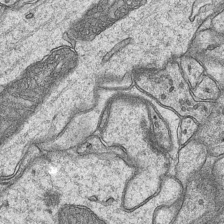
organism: Mouse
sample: CA1 Hippocampus